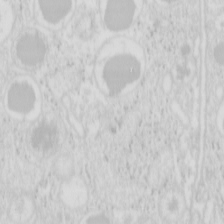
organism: Mouse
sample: Pancreas